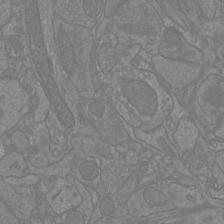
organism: Mouse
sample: Cortical neurons